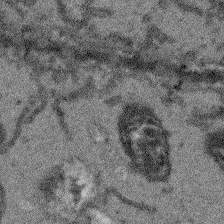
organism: Arabidopsis thaliana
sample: Root tip